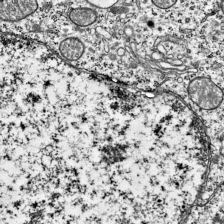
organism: Mouse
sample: Visual Cortex